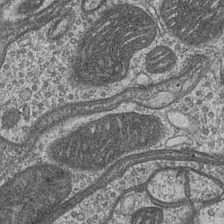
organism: Drosophila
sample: Optic medulla